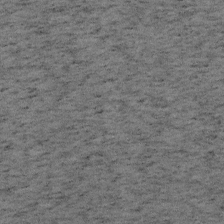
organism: Mouse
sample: OT-I killer T cells with ID8 ovarian cancer cells